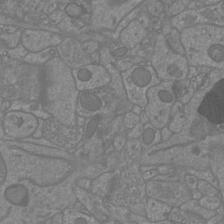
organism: Mouse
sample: Cortical neurons